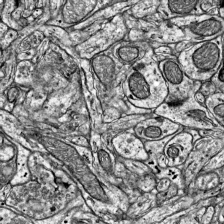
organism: Mouse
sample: Visual Cortex